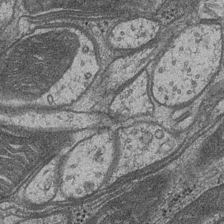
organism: Drosophila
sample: Optic medulla